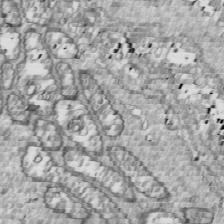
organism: Drosophila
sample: Cell division; meiosis; drosophila spermatocytes